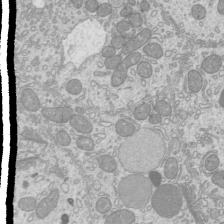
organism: Mouse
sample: Cilia; mouse epididymis